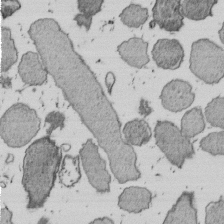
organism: E. coli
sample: Bacterial nucleoid